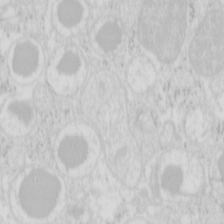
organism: Mouse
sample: Pancreas